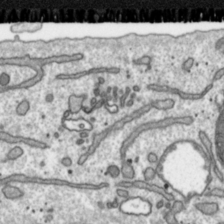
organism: Toxoplasma gondii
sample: Parasites in a vacuole inside a host cell